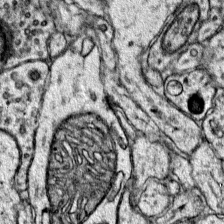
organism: Mouse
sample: Primary visual cortex